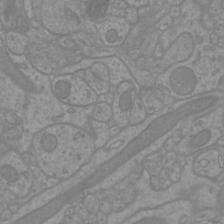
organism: Mouse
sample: Cortical neurons